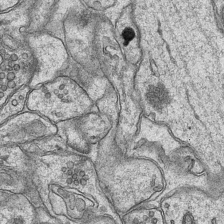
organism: Mouse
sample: CA1 Hippocampus